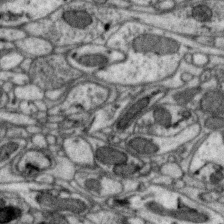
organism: Zebra finch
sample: Brain